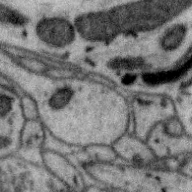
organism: Zebra finch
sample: Brain